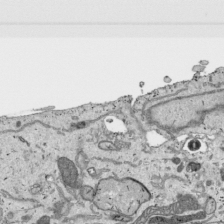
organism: Human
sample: Mitochondria in HCT116 cells